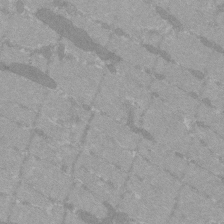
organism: C57BL Mouse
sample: Tibialis anterior muscle cell